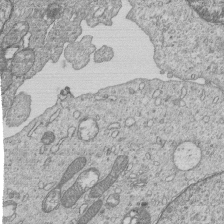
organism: Human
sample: MDA-MB-231 cells